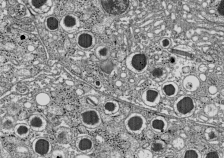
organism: C57BL Mouse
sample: Pancreatic islet